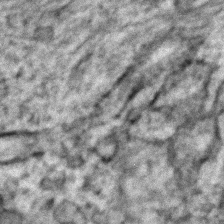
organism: Zebrafish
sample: Zebrafish embryo